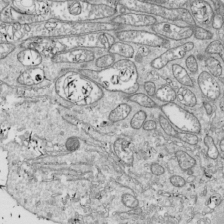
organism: Drosophila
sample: Cell division; meiosis; drosophila spermatocytes